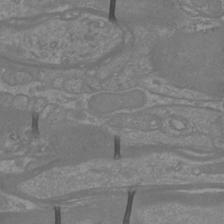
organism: Mouse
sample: Cortical neurons